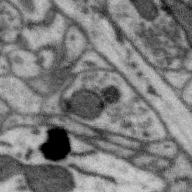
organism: Zebra finch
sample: Brain